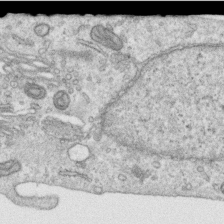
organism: Human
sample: Centriole in RPE cells